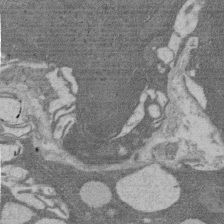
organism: Rat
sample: Salivary granule